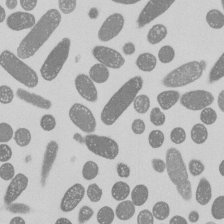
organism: E. coli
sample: Bacterial nucleoid